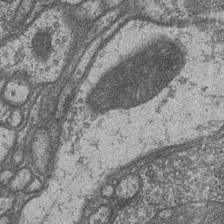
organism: Drosophila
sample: Optic medulla